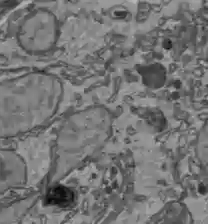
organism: C57BL Mouse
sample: Liver